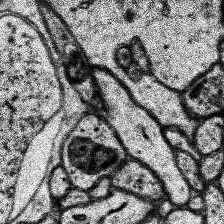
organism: Human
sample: Temporal Lobe